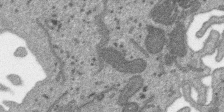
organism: Human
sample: Lung epithelial cells infected with SARS-CoV-2